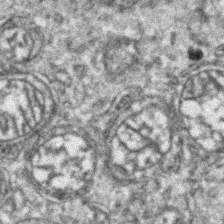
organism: Zebrafish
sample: Zebrafish embryo